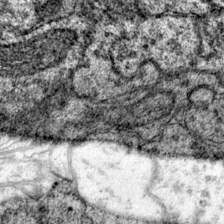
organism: Mouse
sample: Primary visual cortex